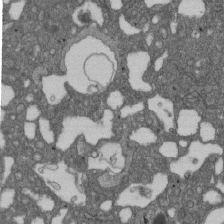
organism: Drosophila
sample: Nephrocyte